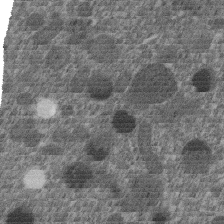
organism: C. elegans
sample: C. elegans embryo early stage